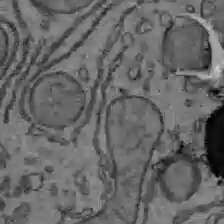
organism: C57BL Mouse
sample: Liver